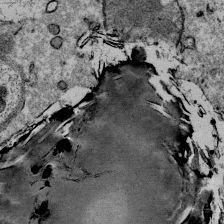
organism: Mouse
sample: Mouse Salivary gland